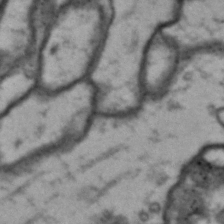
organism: Drosophila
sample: Brain